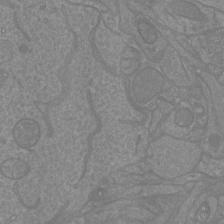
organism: Mouse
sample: Cortical neurons